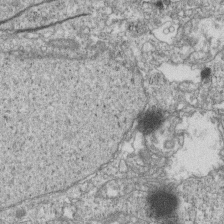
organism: Human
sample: HeLa cell HIV synapse